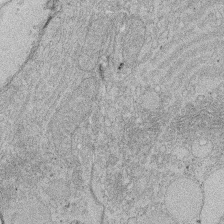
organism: Rat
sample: Salivary granule